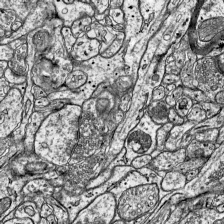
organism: Mouse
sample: Visual Cortex